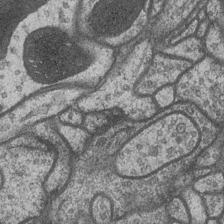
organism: Drosophila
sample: Optic medulla